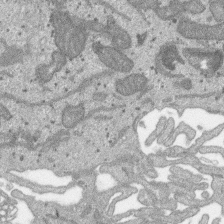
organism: Human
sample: Lung epithelial cells infected with SARS-CoV-2